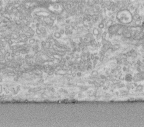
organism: Human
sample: Centriole in fibroblast cells